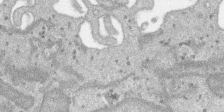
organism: Human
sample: Lung epithelial cells infected with SARS-CoV-2